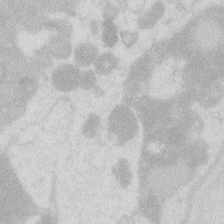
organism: Zebrafish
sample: Macrophage